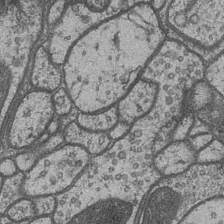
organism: Drosophila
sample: Optic medulla